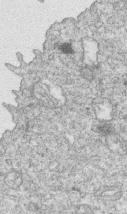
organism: Human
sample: HeLa cell HIV synapse